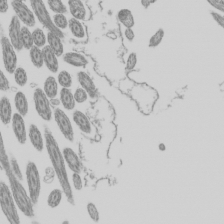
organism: Mouse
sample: Cilia; mouse epididymis